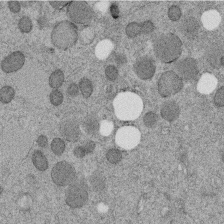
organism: C. elegans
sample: C. elegans embryo early stage